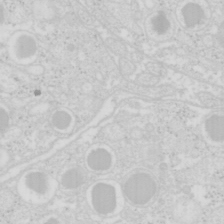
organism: Mouse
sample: Pancreas